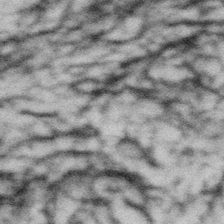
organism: Gemmata obscuriglobus